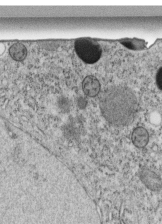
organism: C. elegans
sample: C. elegans embryo early stage